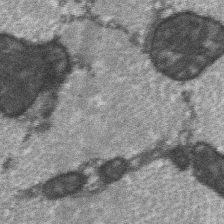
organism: C57BL Mouse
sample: Soleus